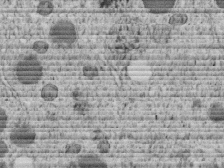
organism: C. elegans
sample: C. elegans embryo early stage